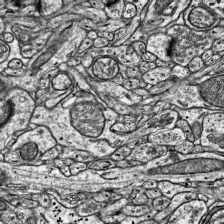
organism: Mouse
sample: Visual Cortex